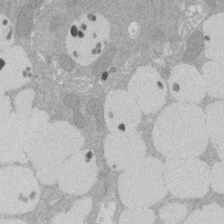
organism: Rat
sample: Salivary granule